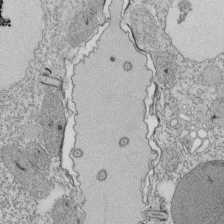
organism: Tetrahymena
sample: Cilia in tetrahymena